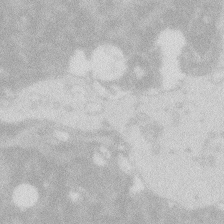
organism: Zebrafish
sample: Macrophage